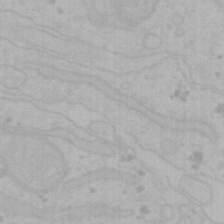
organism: Mouse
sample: Choroid plexus